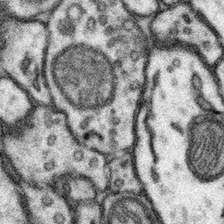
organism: Mouse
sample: Somatosensory cortex neuropil